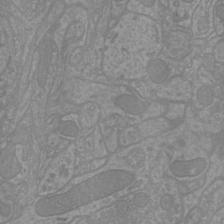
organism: Mouse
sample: Cortical neurons